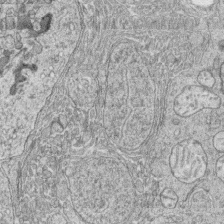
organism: Zebrafish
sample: synaptic ribbons in rod cells and cone cells